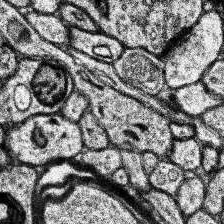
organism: Human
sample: Temporal Lobe